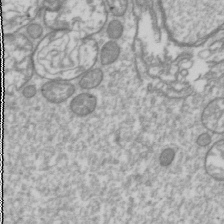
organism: Drosophila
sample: Cell division; meiosis; drosophila spermatocytes